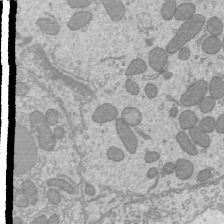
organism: Mouse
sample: Cilia; mouse epididymis